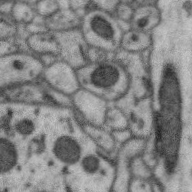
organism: Zebra finch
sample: Brain